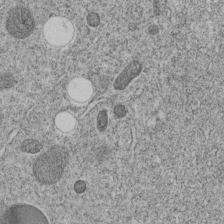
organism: C. elegans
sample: C. elegans embryo early stage